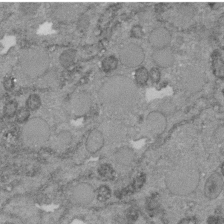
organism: C. elegans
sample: C. elegans embryo early stage